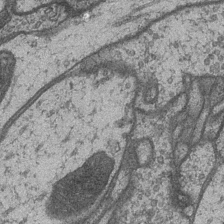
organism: Drosophila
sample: Optic medulla